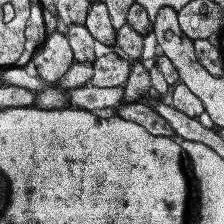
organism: Human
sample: Temporal Lobe